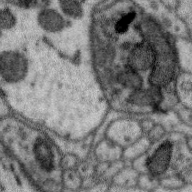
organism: Zebra finch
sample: Brain